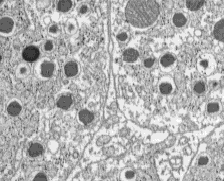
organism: C57BL Mouse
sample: Pancreatic islet